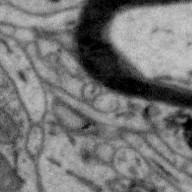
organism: Zebra finch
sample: Brain